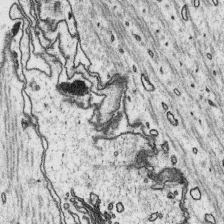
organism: Platynereis dumerilii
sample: Parapodia